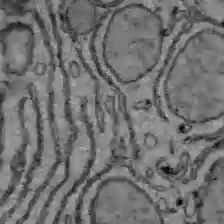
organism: C57BL Mouse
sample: Liver